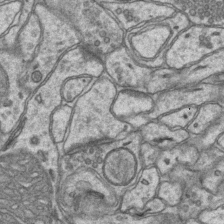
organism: Mouse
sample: CA1 Hippocampus